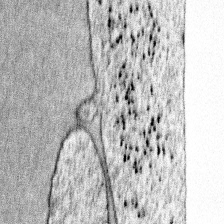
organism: Human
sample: HeLa cells